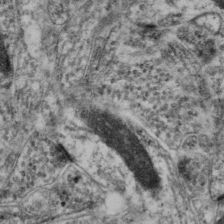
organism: Mouse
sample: Neocortex